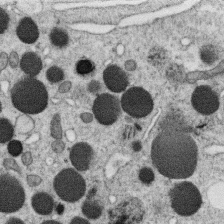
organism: C. elegans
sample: C. elegans oocyte; sperm cells